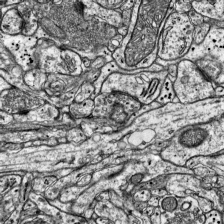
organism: Mouse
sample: Visual Cortex